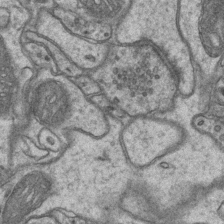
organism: Mouse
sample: CA1 Hippocampus